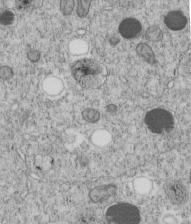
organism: C. elegans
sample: C. elegans embryo early stage